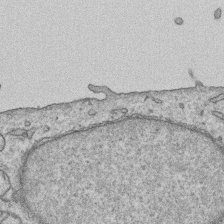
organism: Human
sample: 1205lu cells